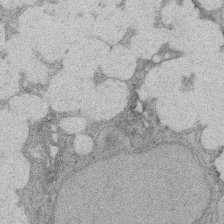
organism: Rat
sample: Salivary granule